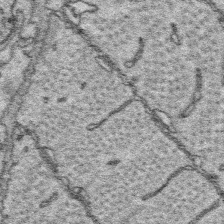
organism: Platynereis dumerilii